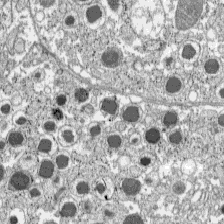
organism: C57BL Mouse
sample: Pancreatic islet